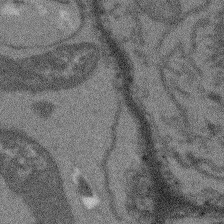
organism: Arabidopsis thaliana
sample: Root tip